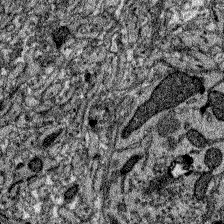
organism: Zebrafish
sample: Larval olfactory bulb